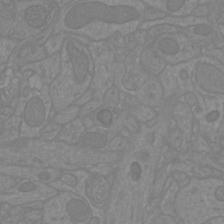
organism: Mouse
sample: Cortical neurons